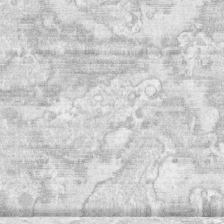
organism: Human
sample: CRL-1474